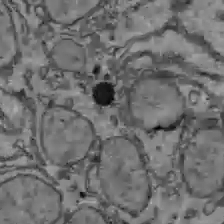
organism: C57BL Mouse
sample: Liver